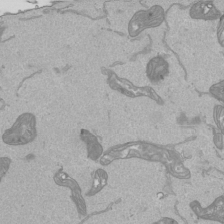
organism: Human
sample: Mitochondria in HCT116 cells